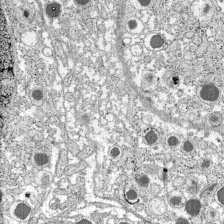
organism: C57BL Mouse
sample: Pancreatic islet